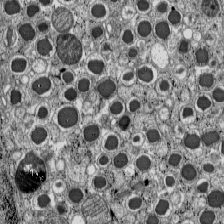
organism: C57BL Mouse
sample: Pancreatic islet